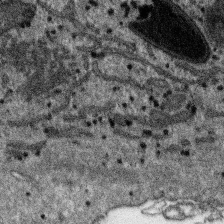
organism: Human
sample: Lung epithelial cells infected with SARS-CoV-2